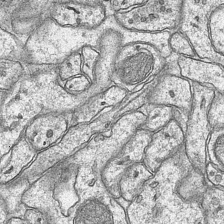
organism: Mouse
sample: CA1 Hippocampus